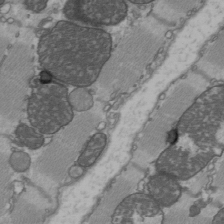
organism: C57BL Mouse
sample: Heart